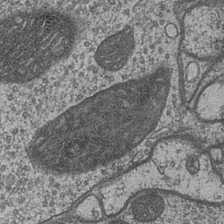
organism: Drosophila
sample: Optic medulla